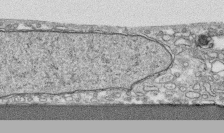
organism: Human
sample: CRL-1474